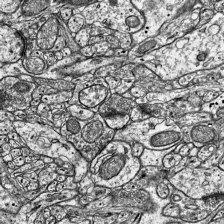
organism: Mouse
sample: Visual Cortex